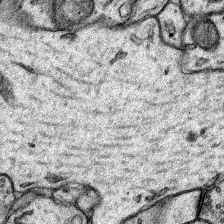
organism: Rat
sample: Hippocampus